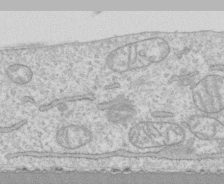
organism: Human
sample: CRL-1474